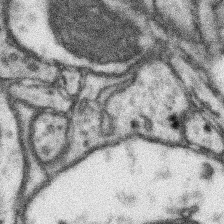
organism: Mouse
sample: Somatosensory cortex neuropil